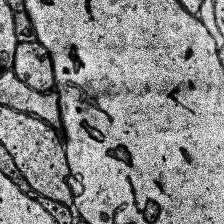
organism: Human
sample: Temporal Lobe